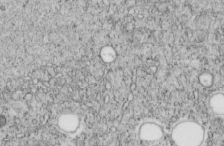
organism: C. elegans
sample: C. elegans embryo early stage